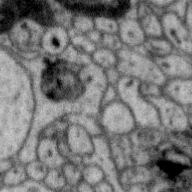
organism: Zebra finch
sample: Brain